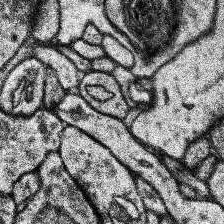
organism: Human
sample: Temporal Lobe